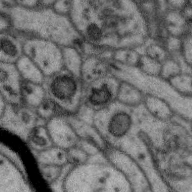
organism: Zebra finch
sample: Brain